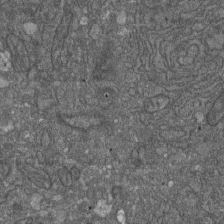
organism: Drosophila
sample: Nephrocyte